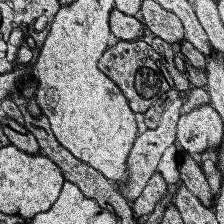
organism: Human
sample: Temporal Lobe